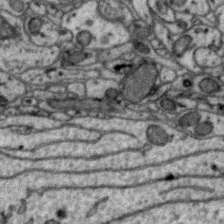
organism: Zebra finch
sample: Brain